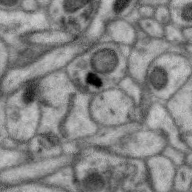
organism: Zebra finch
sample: Brain